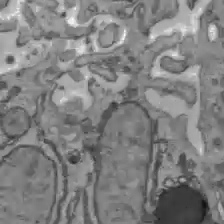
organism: C57BL Mouse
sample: Liver